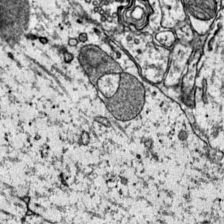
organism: Mouse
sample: Primary visual cortex